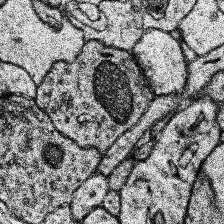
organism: Human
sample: Temporal Lobe